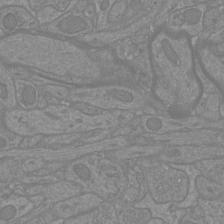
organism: Mouse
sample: Cortical neurons